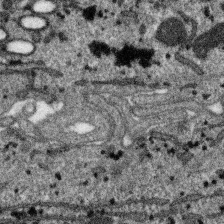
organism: Human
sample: Lung epithelial cells infected with SARS-CoV-2